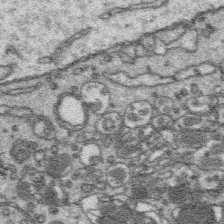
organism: Platynereis dumerilii